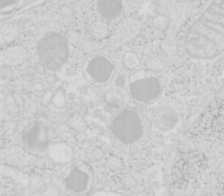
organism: Mouse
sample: Pancreas